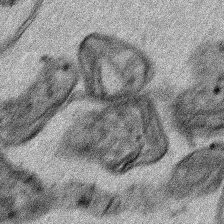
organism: Human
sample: Mitochondria in HCT116 cells